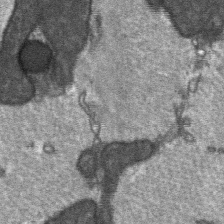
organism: C57BL Mouse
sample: Soleus